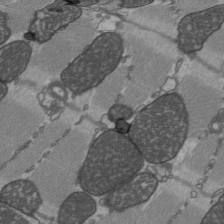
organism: C57BL Mouse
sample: Heart